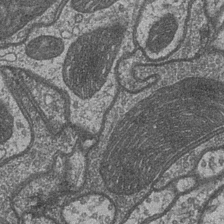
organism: Drosophila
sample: Optic medulla